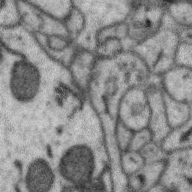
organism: Zebra finch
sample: Brain